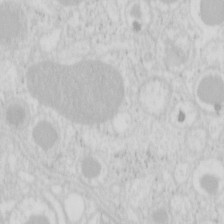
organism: Mouse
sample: Pancreas